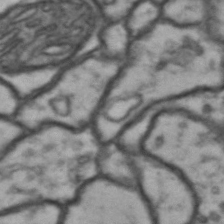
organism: Drosophila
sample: Brain